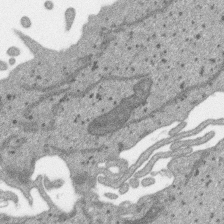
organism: Human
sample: Lung epithelial cells infected with SARS-CoV-2